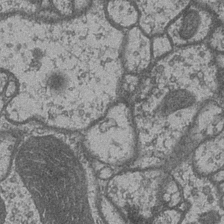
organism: Drosophila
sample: Optic medulla